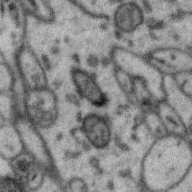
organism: Zebra finch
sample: Brain